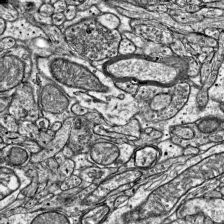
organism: Mouse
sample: Visual Cortex